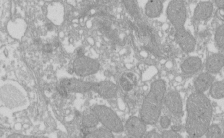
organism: Xenopus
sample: Cilia; centrioles in frog embryo cells